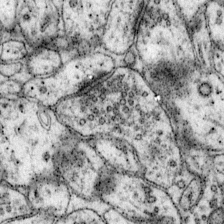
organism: Mouse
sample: Primary visual cortex